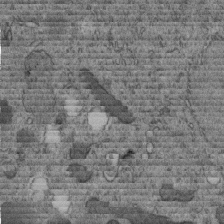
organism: C. elegans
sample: C. elegans embryo early stage